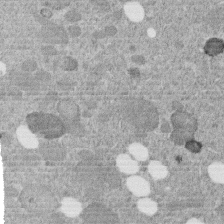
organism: C. elegans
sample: C. elegans embryo early stage